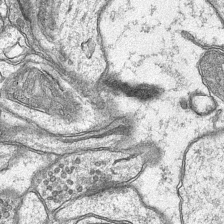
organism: Mouse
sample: CA1 Hippocampus